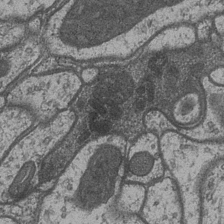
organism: Drosophila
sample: Optic medulla